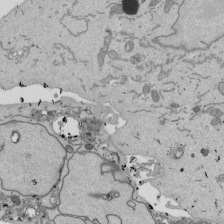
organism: Mouse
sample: ED-1 cell nuclei; centrioles